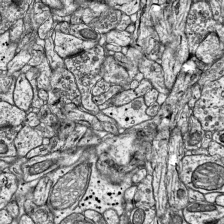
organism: Mouse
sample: Visual Cortex